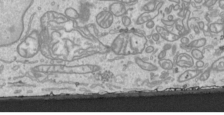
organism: Human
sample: Mitochondria in HCT116 cells